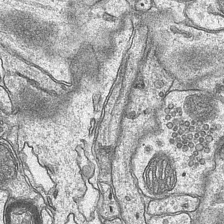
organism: Mouse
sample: CA1 Hippocampus